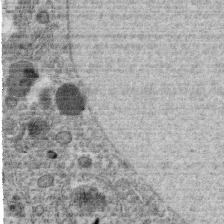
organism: C. elegans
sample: C. elegans oocyte; sperm cells